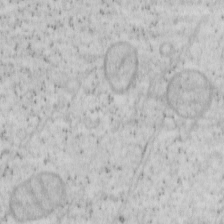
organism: Human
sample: HeLa cells